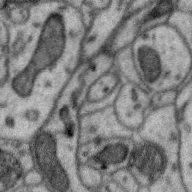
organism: Zebra finch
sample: Brain